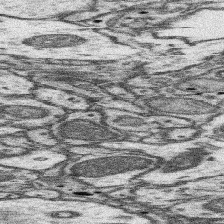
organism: Mouse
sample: Somatosensory cortex neuropil